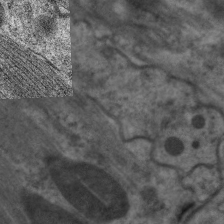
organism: C. elegans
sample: Pharynx